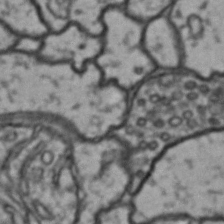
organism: Drosophila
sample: Brain